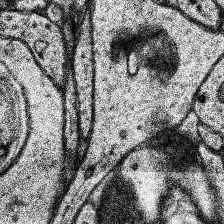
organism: Human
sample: Temporal Lobe